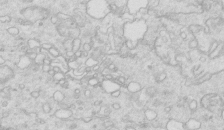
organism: Mouse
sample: Multiciliated cells